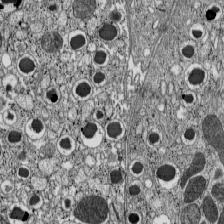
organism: C57BL Mouse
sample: Pancreatic islet